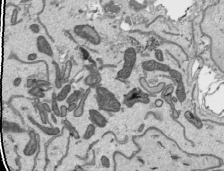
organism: Human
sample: Mitochondria in HCT116 cells